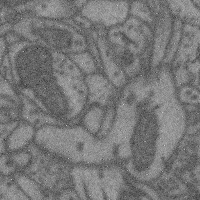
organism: Mouse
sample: Cerebral cortex